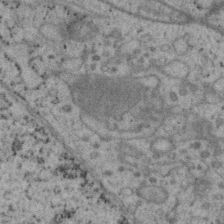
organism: Human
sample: HeLa cells